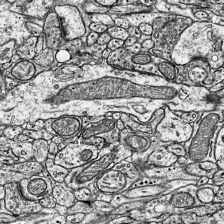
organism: Mouse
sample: Visual Cortex